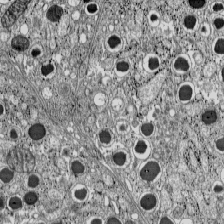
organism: C57BL Mouse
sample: Pancreatic islet